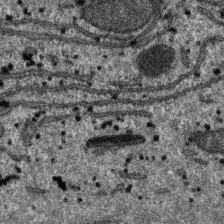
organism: Human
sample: Lung epithelial cells infected with SARS-CoV-2